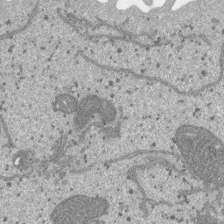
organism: Human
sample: Lung epithelial cells infected with SARS-CoV-2